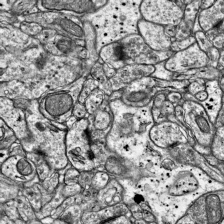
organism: Mouse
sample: Visual Cortex